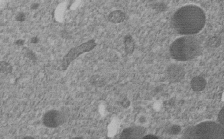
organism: C. elegans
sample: C. elegans embryo early stage